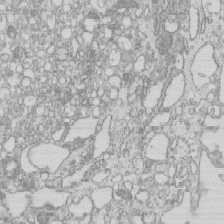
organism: Mouse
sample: Macrophages